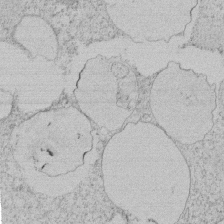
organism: Tetrahymena